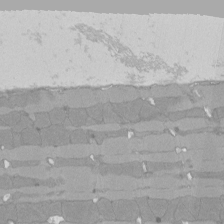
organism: Rat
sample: Left ventricle